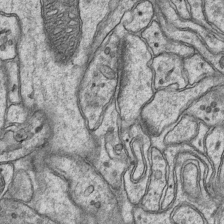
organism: Mouse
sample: CA1 Hippocampus